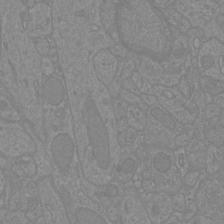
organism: Mouse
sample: Cortical neurons